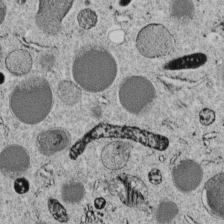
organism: C. elegans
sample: C. elegans embryo early stage